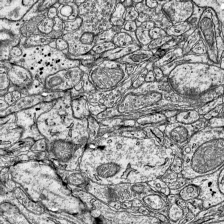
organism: Mouse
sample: Visual Cortex